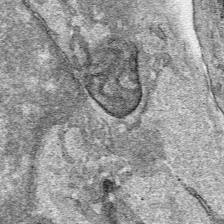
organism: Human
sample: Mitochondria in HCT116 cells